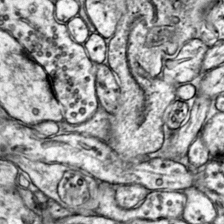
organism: Mouse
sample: Primary visual cortex